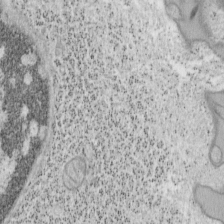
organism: Mouse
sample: OT-I killer T cells with ID8 ovarian cancer cells